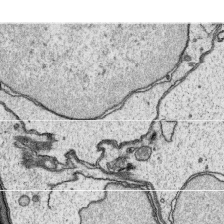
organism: Platynereis dumerilii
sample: Parapodia